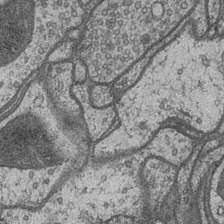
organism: Drosophila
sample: Optic medulla